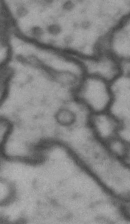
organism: Drosophila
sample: Brain